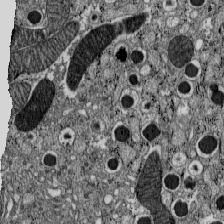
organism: C57BL Mouse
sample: Pancreatic islet